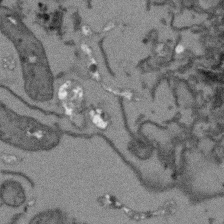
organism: Arabidopsis thaliana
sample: Root tip